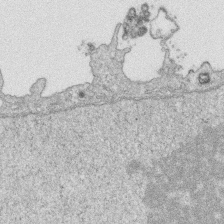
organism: Human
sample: HeLa cell HIV synapse